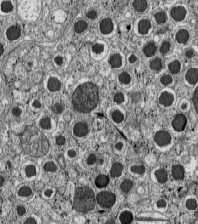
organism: C57BL Mouse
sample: Pancreatic islet